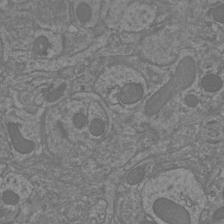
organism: Mouse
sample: Cortical neurons